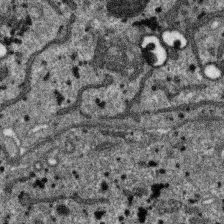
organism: Human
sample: Lung epithelial cells infected with SARS-CoV-2